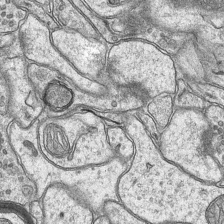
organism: Mouse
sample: CA1 Hippocampus